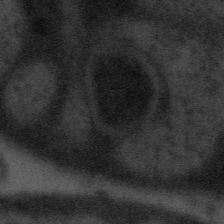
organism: Tuwongella immobilis